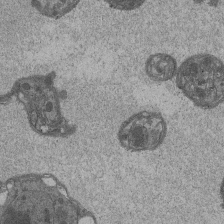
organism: Drosophila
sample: Antenna